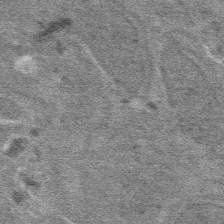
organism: Mouse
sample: Mouse hepatocytes